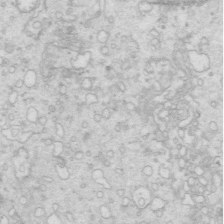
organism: Mouse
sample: Multiciliated cells